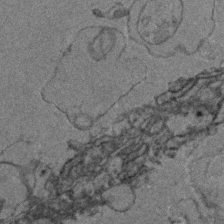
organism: Zebrafish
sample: Zebrafish embryo